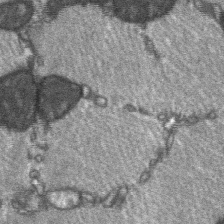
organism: C57BL Mouse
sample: Soleus